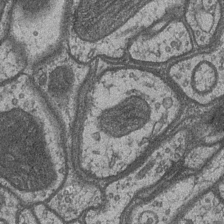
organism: Drosophila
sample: Optic medulla